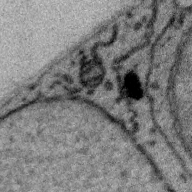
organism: Zebra finch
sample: Brain